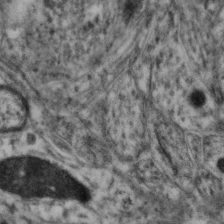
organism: Mouse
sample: Neocortex